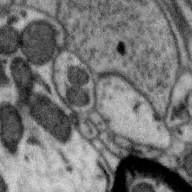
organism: Zebra finch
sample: Brain